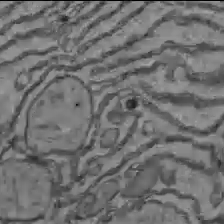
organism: C57BL Mouse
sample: Liver